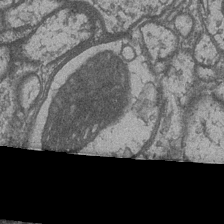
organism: Drosophila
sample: Optic medulla